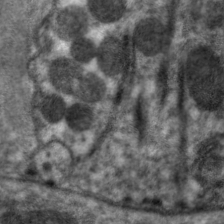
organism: C. elegans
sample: Pharynx